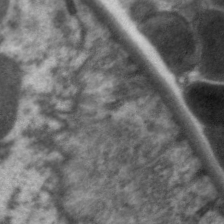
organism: C. elegans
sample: Pharynx